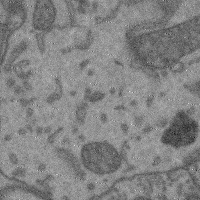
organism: Mouse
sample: Cerebral cortex